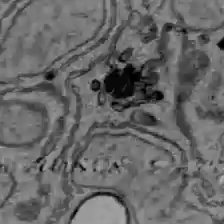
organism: C57BL Mouse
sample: Liver